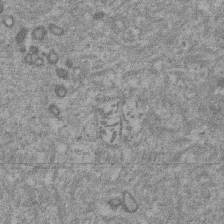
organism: Mouse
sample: Dividing mouse embryo 1 cell stage